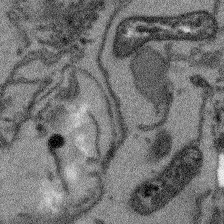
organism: Arabidopsis thaliana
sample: Root tip